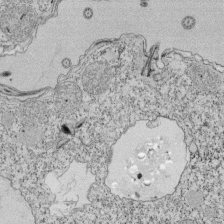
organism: Tetrahymena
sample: Cilia in tetrahymena